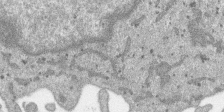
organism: Human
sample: Lung epithelial cells infected with SARS-CoV-2